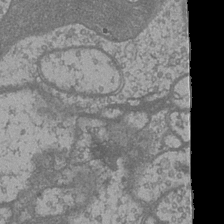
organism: Drosophila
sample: Optic medulla